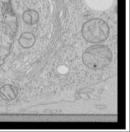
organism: Human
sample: Mitochondria in HCT116 cells